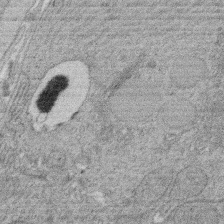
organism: Rat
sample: Salivary granule